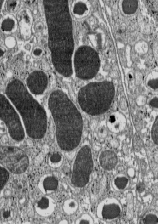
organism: C57BL Mouse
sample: Pancreatic islet